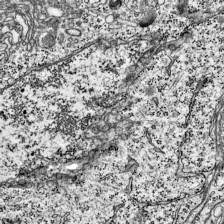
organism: Mouse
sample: Visual Cortex